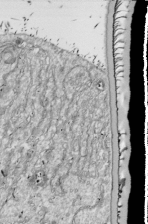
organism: Drosophila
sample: Cell division; meiosis; drosophila spermatocytes